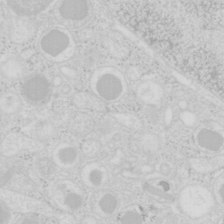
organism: Mouse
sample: Pancreas